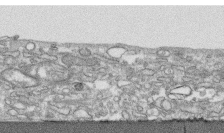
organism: Human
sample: CRL-1474